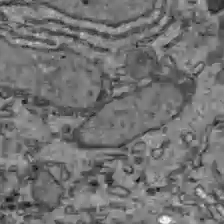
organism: C57BL Mouse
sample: Liver